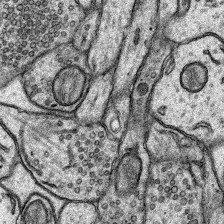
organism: Rat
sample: Hippocampus